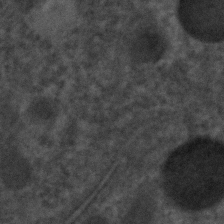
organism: C. elegans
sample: C. elegans embryo